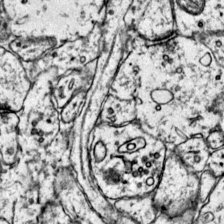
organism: Mouse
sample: Primary visual cortex